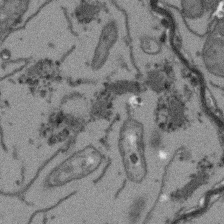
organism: Arabidopsis thaliana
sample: Root tip